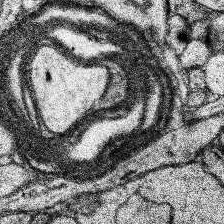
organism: Human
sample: Temporal Lobe